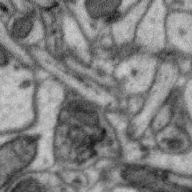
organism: Zebra finch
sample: Brain